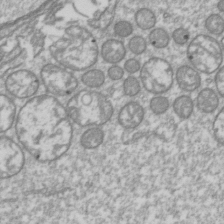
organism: Drosophila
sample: Cell division; meiosis; drosophila spermatocytes